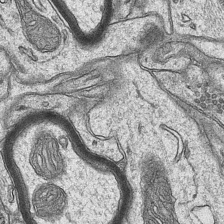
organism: Mouse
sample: CA1 Hippocampus